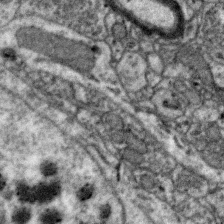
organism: Zebra finch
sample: Brain